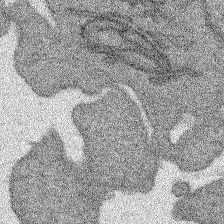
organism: Human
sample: HeLa cells